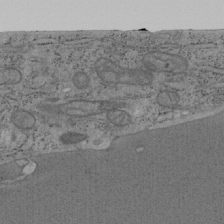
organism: Human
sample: HeLa cells